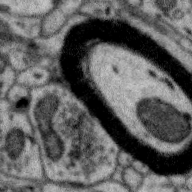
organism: Zebra finch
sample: Brain